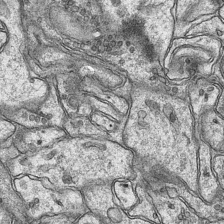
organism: Mouse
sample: CA1 Hippocampus